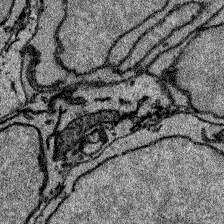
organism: Zebrafish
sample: Larval olfactory bulb